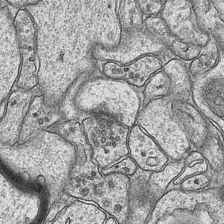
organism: Mouse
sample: CA1 Hippocampus